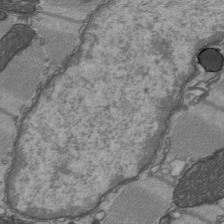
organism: C57BL Mouse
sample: Heart